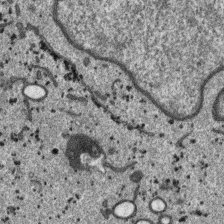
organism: Human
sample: Lung epithelial cells infected with SARS-CoV-2